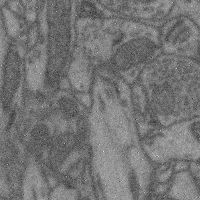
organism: Mouse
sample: Cerebral cortex